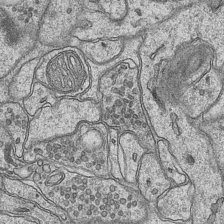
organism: Mouse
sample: CA1 Hippocampus